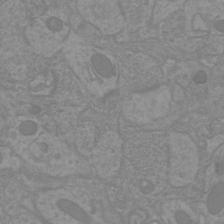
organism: Mouse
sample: Cortical neurons